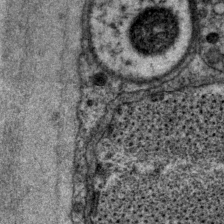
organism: P. pacificus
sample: Pharynx